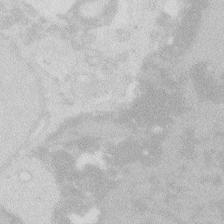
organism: Zebrafish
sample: Macrophage